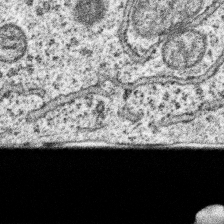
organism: Human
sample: HeLa cells